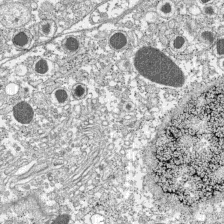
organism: C57BL Mouse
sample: Pancreatic islet